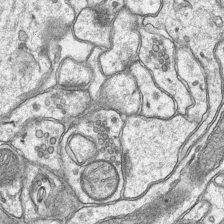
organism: Mouse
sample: CA1 Hippocampus